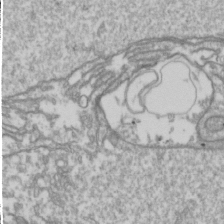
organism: Drosophila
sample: Cell division; meiosis; drosophila spermatocytes